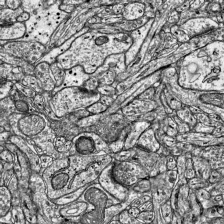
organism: Mouse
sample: Visual Cortex